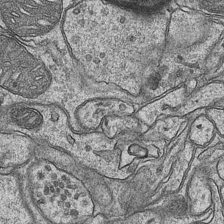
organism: Mouse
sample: CA1 Hippocampus